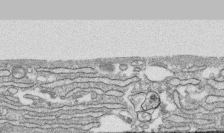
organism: Human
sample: CRL-1474